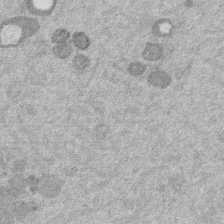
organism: Mouse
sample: Dividing mouse embryo 1 cell stage